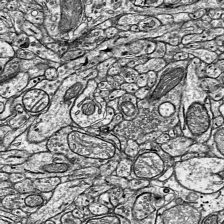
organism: Mouse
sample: Visual Cortex